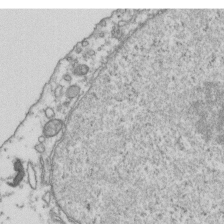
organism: Human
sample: Activated Jurkat CD4+ T cells